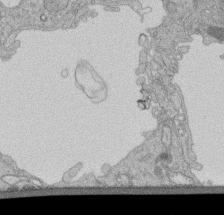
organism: Human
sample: Retinal organoid Rod and Cone cells